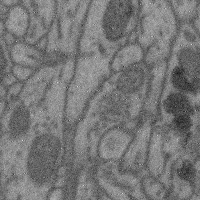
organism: Mouse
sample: Cerebral cortex